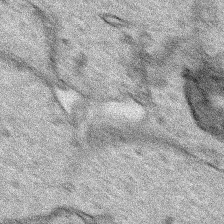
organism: Human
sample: Mitochondria in HCT116 cells